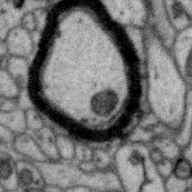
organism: Zebra finch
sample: Brain